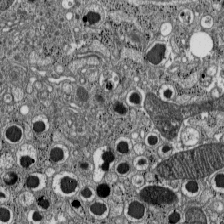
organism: C57BL Mouse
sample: Pancreatic islet